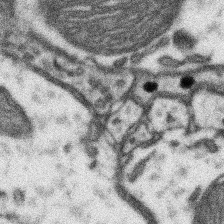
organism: Mouse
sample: Somatosensory cortex neuropil